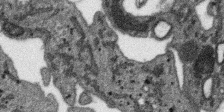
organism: Human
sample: Lung epithelial cells infected with SARS-CoV-2